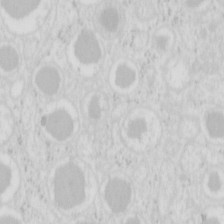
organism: Mouse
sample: Pancreas